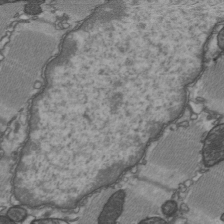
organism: C57BL Mouse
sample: Heart